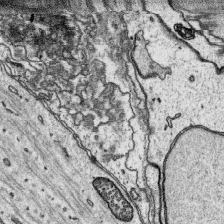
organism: Platynereis dumerilii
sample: Parapodia